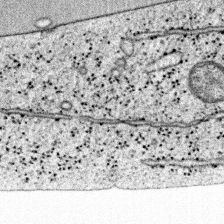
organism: Human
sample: HeLa cells